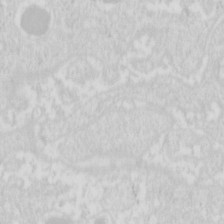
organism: Mouse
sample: Pancreas